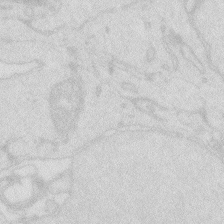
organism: Zebrafish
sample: Macrophage